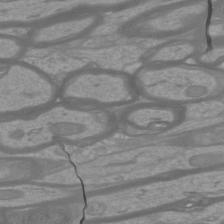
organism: Mouse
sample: Cortical neurons